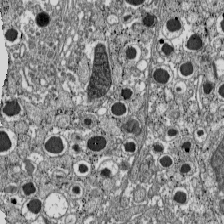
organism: C57BL Mouse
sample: Pancreatic islet